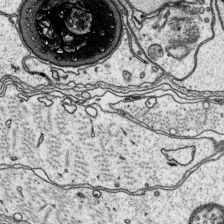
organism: Platynereis dumerilii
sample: Parapodia